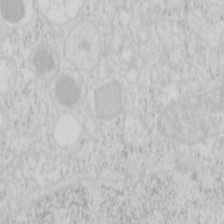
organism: Mouse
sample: Pancreas